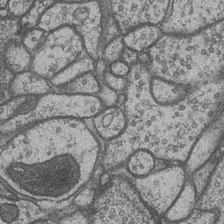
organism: Drosophila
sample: Optic medulla